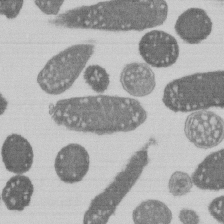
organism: E. coli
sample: Bacterial nucleoid